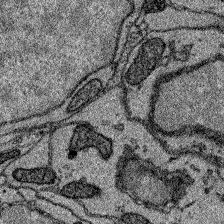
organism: Zebrafish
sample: Larval olfactory bulb